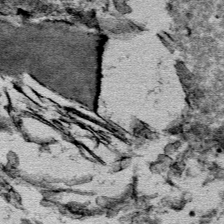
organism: Mouse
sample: Mouse Salivary gland